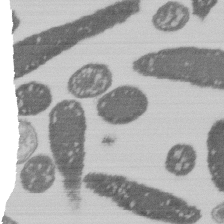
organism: E. coli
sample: Bacterial nucleoid